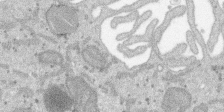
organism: Human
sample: Lung epithelial cells infected with SARS-CoV-2